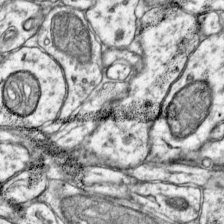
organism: Mouse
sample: Primary visual cortex